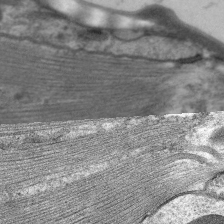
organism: C. elegans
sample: Pharynx